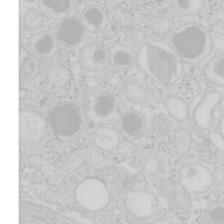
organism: Mouse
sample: Pancreas